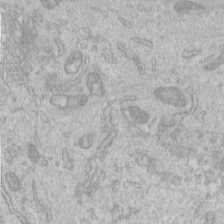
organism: Human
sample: Centriole in RPE cells